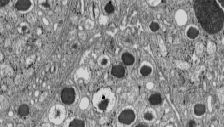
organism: C57BL Mouse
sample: Pancreatic islet